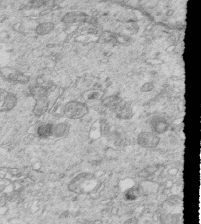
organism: Mouse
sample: Multiciliated cells